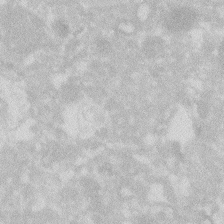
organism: Zebrafish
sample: Macrophage